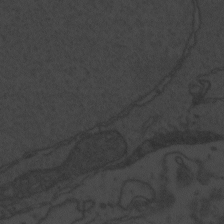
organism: Zebrafish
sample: Macrophage infected with Toxoplasma gondii